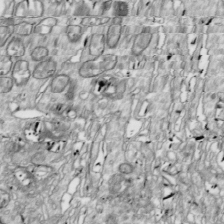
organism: Drosophila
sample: Cell division; meiosis; drosophila spermatocytes